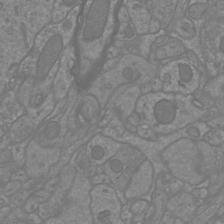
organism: Mouse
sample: Cortical neurons